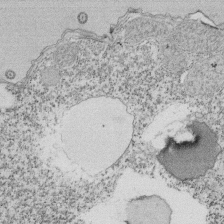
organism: Tetrahymena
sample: Cilia in tetrahymena